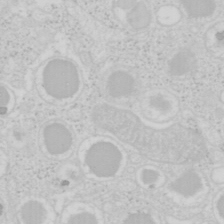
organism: Mouse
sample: Pancreas